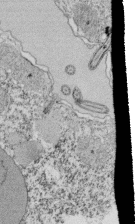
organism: Tetrahymena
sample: Cilia in tetrahymena